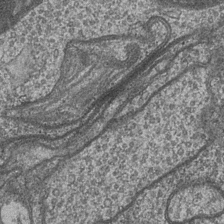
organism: Drosophila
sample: Optic medulla